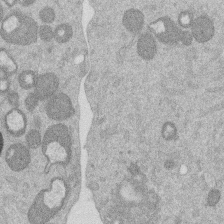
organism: Mouse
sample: Dividing mouse embryo 1 cell stage